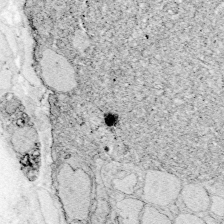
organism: Zebrafish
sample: Whole-Brain